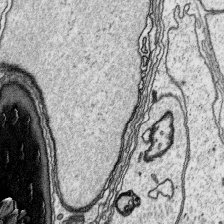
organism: Platynereis dumerilii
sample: Parapodia